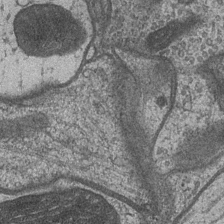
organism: Drosophila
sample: Optic medulla